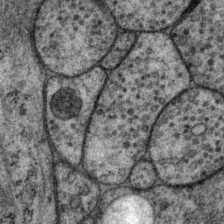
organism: P. pacificus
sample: Pharynx